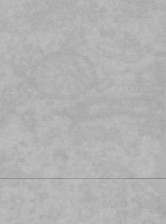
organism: Mouse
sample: Choroid plexus